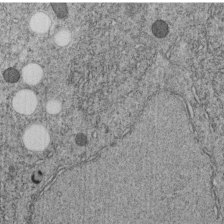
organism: C. elegans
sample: C. elegans embryo early stage